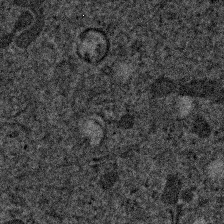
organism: Human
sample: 1205lu cells